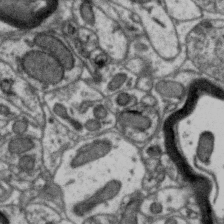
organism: Zebra finch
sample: Brain